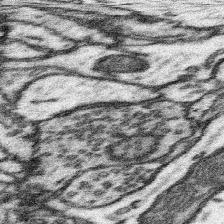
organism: Mouse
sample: Somatosensory cortex neuropil